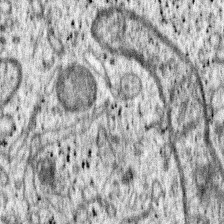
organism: Human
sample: HeLa cells